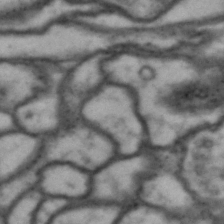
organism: Drosophila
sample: Brain